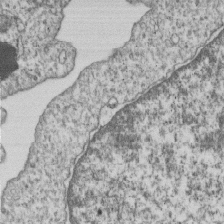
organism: Human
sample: MDA-MB-231 cells